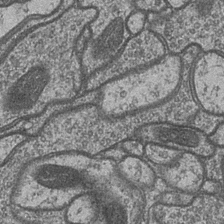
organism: Drosophila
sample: Optic medulla